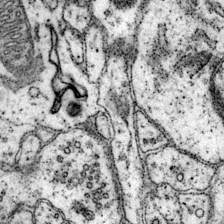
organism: Mouse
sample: Primary visual cortex